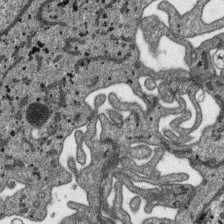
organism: Human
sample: Lung epithelial cells infected with SARS-CoV-2